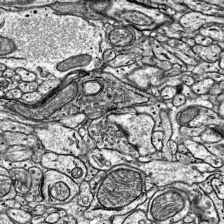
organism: Mouse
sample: Visual Cortex